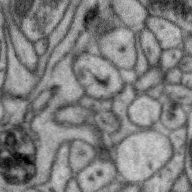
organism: Zebra finch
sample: Brain